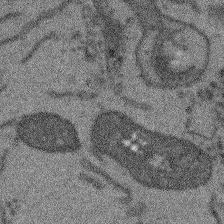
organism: Arabidopsis thaliana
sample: Root tip